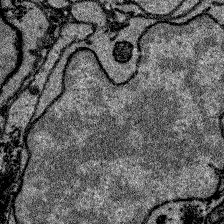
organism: Zebrafish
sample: Larval olfactory bulb